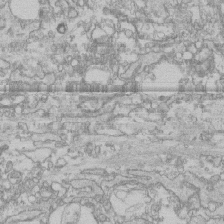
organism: Human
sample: CRL-1474